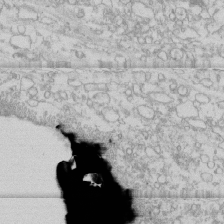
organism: Human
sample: CRL-1474